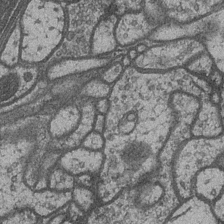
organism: Drosophila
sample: Optic medulla